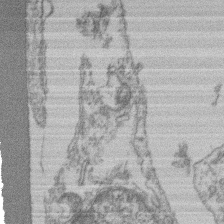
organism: Mouse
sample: T cell stromal cell synapse